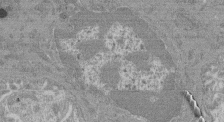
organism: Mouse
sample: Glomerulus